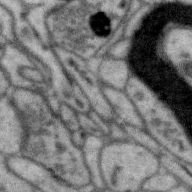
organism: Zebra finch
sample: Brain